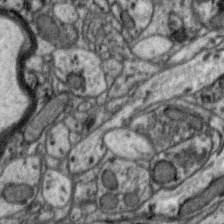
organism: Zebra finch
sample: Brain